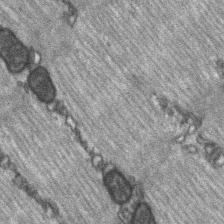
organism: C57BL Mouse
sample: Soleus